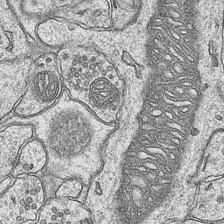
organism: Mouse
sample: CA1 Hippocampus